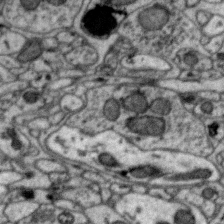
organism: Zebra finch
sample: Brain